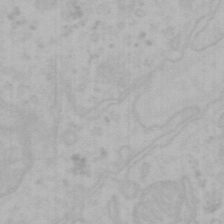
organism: Mouse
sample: Choroid plexus